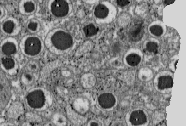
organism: C57BL Mouse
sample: Pancreatic islet